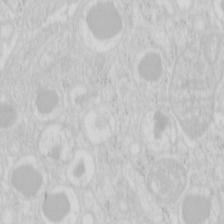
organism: Mouse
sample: Pancreas